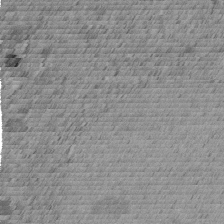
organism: C. elegans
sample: C. elegans embryo early stage